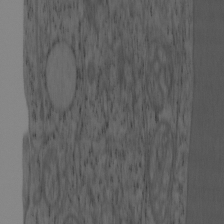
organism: Human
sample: HeLa cells